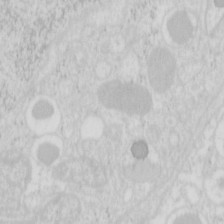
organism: Mouse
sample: Pancreas